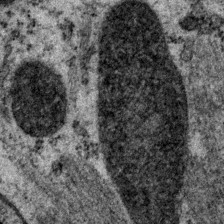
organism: P. pacificus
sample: Pharynx